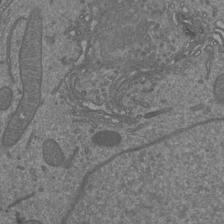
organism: Mouse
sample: Cortical neurons